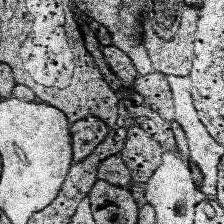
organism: Human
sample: Temporal Lobe